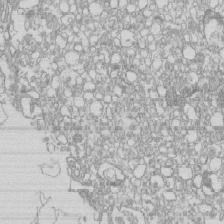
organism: Mouse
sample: Macrophages